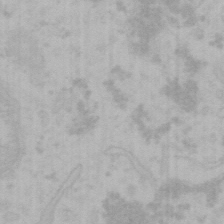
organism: Mouse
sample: Choroid plexus